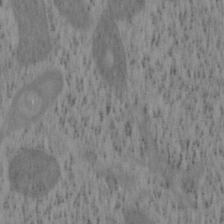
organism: Mouse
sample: OT-I killer T cells with ID8 ovarian cancer cells